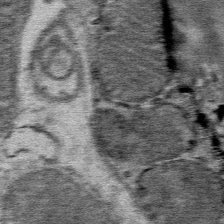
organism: Mouse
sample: Mouse Salivary gland